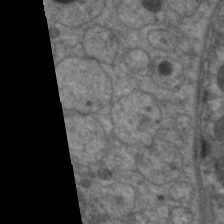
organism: C. elegans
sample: Pharynx